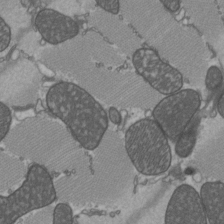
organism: C57BL Mouse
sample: Heart